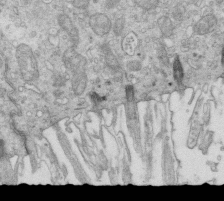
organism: Mouse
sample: Multiciliated cells